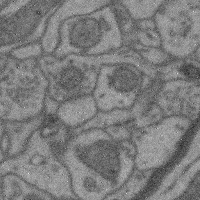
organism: Mouse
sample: Cerebral cortex